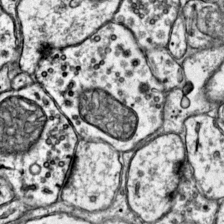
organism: Mouse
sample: Primary visual cortex